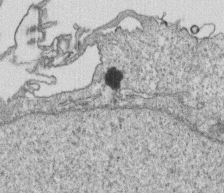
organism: Human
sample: HeLa cell HIV synapse